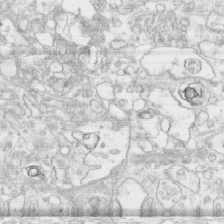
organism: Human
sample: CRL-1474